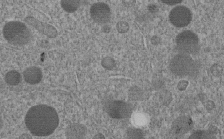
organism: C. elegans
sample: C. elegans embryo early stage